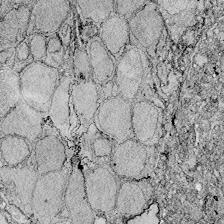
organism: Zebrafish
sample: Whole-Brain